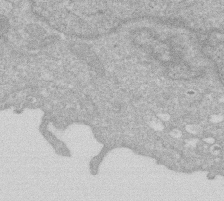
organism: Human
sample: HIV infected U937 cells